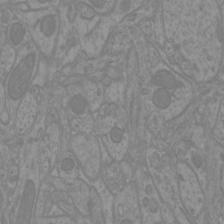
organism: Mouse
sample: Cortical neurons